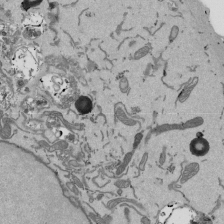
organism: Mouse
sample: ED-1 cell nuclei; centrioles